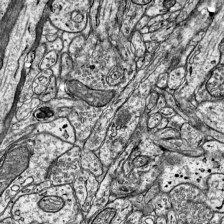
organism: Mouse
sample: Visual Cortex